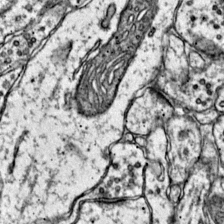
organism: Mouse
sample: Primary visual cortex